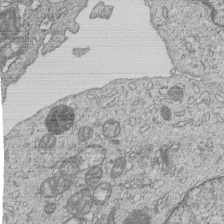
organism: Human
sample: MDA-MB-231 cells